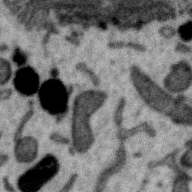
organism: Zebra finch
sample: Brain